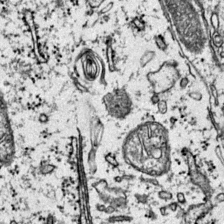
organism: Mouse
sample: Primary visual cortex